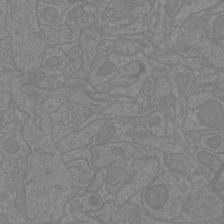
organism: Mouse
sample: Cortical neurons